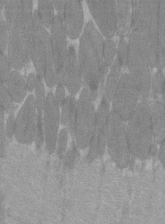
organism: C57BL Mouse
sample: Tibialis anterior muscle cell